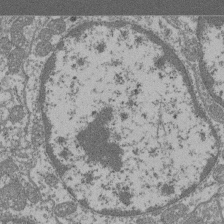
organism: Mouse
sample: Glomerulus